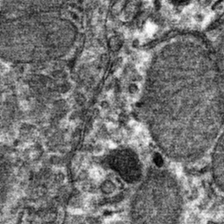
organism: Mouse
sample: Mouse hepatocytes